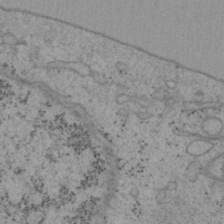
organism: Human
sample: HeLa cells